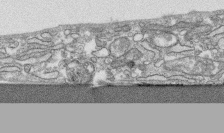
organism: Human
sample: CRL-1474